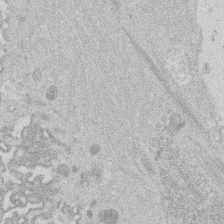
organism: Mouse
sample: Dividing mouse embryo 1 cell stage